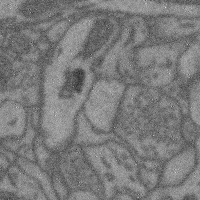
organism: Mouse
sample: Cerebral cortex